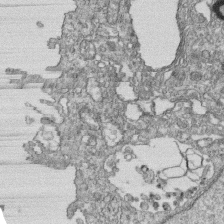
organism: Human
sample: HeLa cell HIV synapse